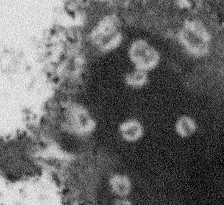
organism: Arabidopsis thaliana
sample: Root tip